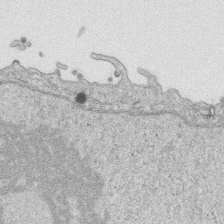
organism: Human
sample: HeLa cell HIV synapse